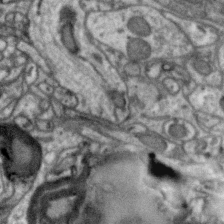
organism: Zebra finch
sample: Brain